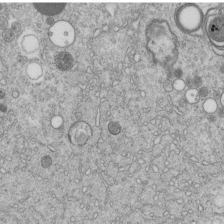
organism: C. elegans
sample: C. elegans embryo early stage